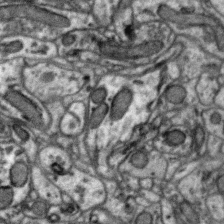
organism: Zebra finch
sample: Brain